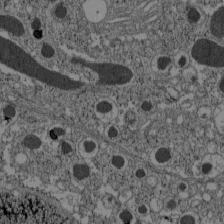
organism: C57BL Mouse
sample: Pancreatic islet